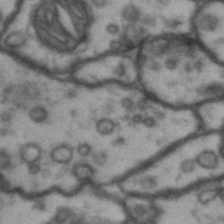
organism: Drosophila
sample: Brain